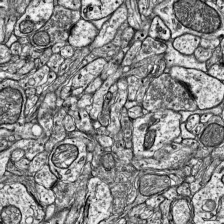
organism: Mouse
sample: Visual Cortex